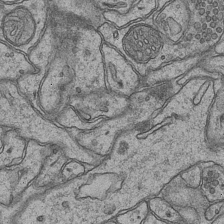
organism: Mouse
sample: CA1 Hippocampus